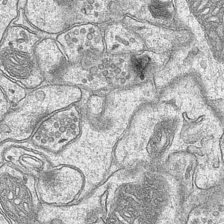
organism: Mouse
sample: CA1 Hippocampus